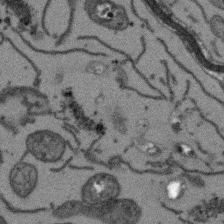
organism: Arabidopsis thaliana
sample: Root tip